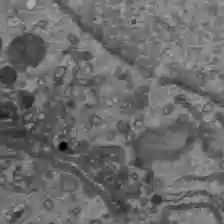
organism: C57BL Mouse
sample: Liver